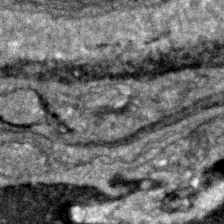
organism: Zebrafish